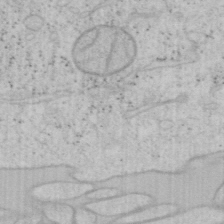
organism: Human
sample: HeLa cells